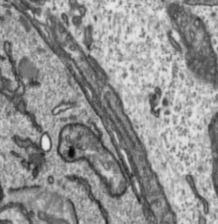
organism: Toxoplasma gondii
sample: Parasites in a vacuole inside a host cell